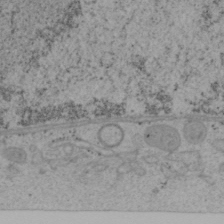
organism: Human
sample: HeLa cells